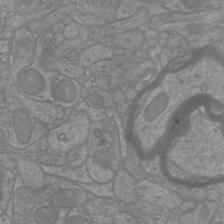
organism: Mouse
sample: Cortical neurons